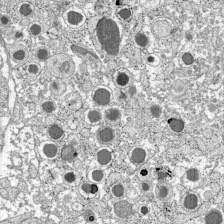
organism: C57BL Mouse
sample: Pancreatic islet